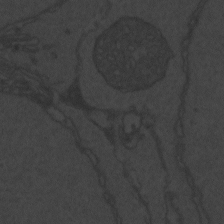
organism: Zebrafish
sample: Macrophage infected with Toxoplasma gondii